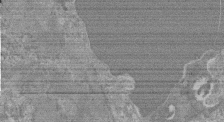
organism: Mouse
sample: Glomerulus